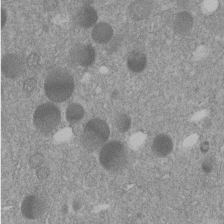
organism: C. elegans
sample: C. elegans embryo early stage